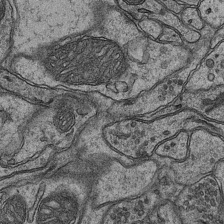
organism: Mouse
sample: CA1 Hippocampus